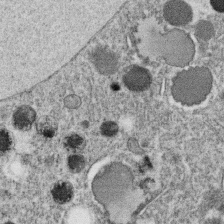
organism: C. elegans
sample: C. elegans oocyte; sperm cells